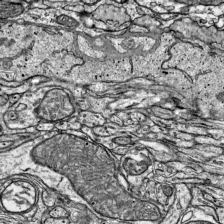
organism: Mouse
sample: Visual Cortex